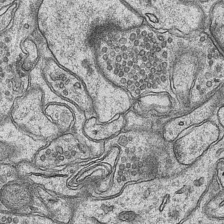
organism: Mouse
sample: CA1 Hippocampus